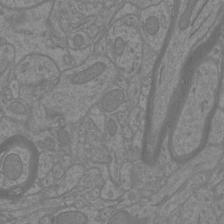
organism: Mouse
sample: Cortical neurons